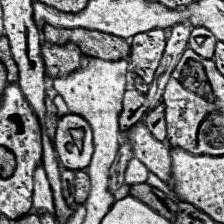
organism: Human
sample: Temporal Lobe